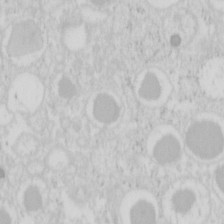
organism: Mouse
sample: Pancreas